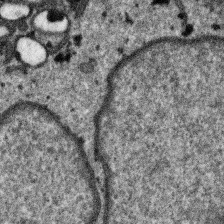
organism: Human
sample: Lung epithelial cells infected with SARS-CoV-2